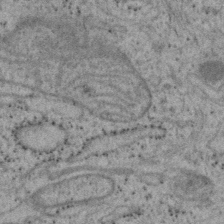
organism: Human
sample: HeLa cells